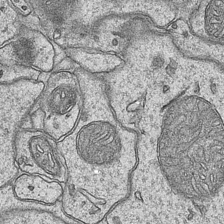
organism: Mouse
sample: CA1 Hippocampus